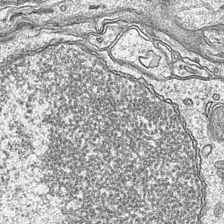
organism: Mouse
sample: CA1 Hippocampus